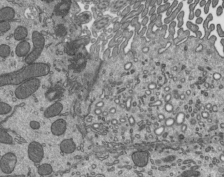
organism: Mouse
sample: Mouse epididymis efferent ductule cilia